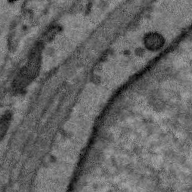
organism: Zebra finch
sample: Brain